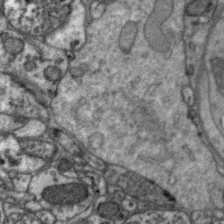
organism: Zebra finch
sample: Brain